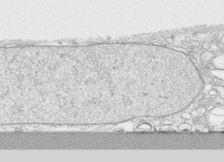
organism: Human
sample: CRL-1474